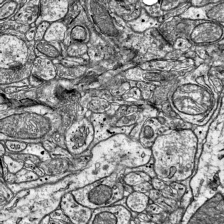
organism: Mouse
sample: Visual Cortex